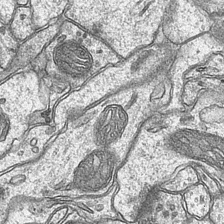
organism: Mouse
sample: CA1 Hippocampus